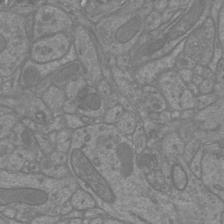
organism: Mouse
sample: Cortical neurons